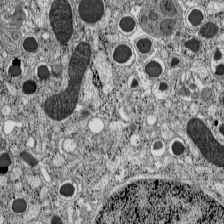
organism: C57BL Mouse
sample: Pancreatic islet